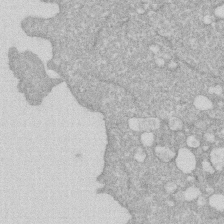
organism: Human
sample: HIV infected U937 cells